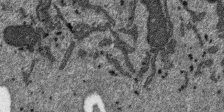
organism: Human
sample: Lung epithelial cells infected with SARS-CoV-2